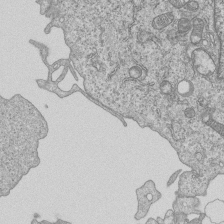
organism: Human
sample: MDA-MB-231 cells